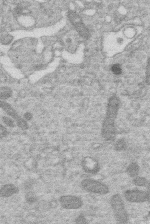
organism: Human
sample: Macrophage cells